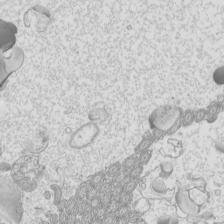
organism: Mouse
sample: Cilia; mouse epididymis